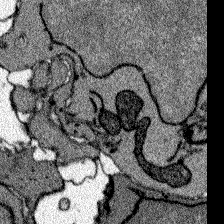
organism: Zebrafish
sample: Larval olfactory bulb